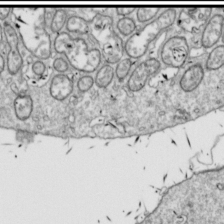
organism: Drosophila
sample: Cell division; meiosis; drosophila spermatocytes